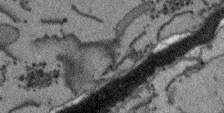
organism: Arabidopsis thaliana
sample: Root tip